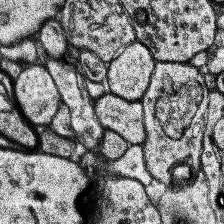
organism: Human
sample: Temporal Lobe